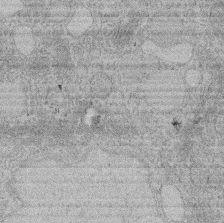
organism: Rat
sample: Salivary granule